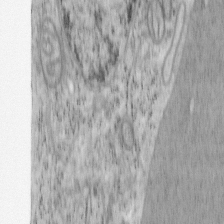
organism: Human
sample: HeLa cells